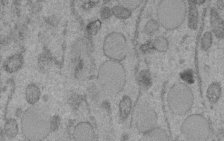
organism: C. elegans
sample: C. elegans embryo early stage